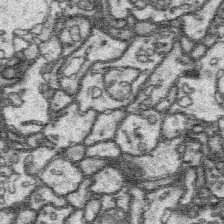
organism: Platynereis dumerilii